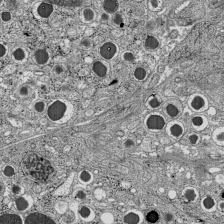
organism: C57BL Mouse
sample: Pancreatic islet